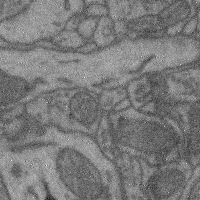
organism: Mouse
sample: Cerebral cortex